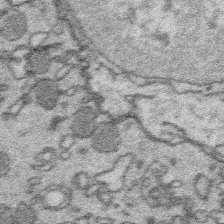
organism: Platynereis dumerilii